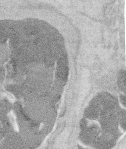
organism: Mouse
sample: T cell stromal cell synapse